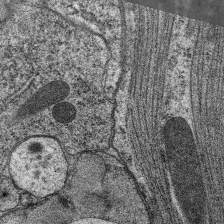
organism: C. elegans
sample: Pharynx